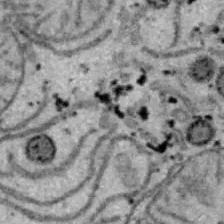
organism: Mouse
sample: Liver from an obese (ob/ob) mouse